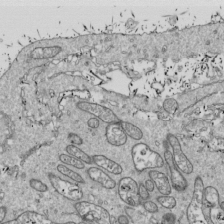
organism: Drosophila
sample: Cell division; meiosis; drosophila spermatocytes